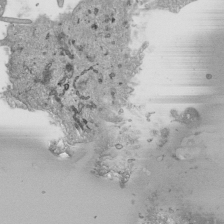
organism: Human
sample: Mitochondria in HCT116 cells